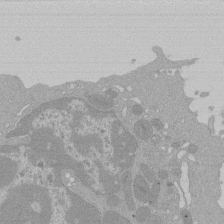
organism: Mouse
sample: Activated Pmel transgenic CD8+ T Cells